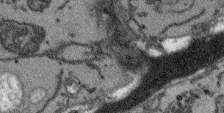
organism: Arabidopsis thaliana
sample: Root tip